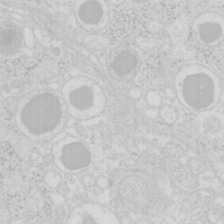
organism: Mouse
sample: Pancreas